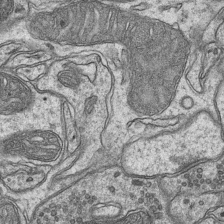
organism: Mouse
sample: CA1 Hippocampus